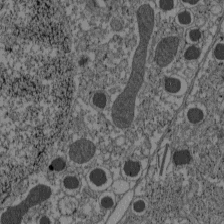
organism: C57BL Mouse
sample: Pancreatic islet